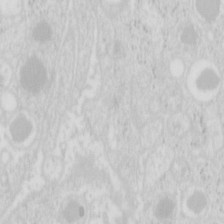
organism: Mouse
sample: Pancreas